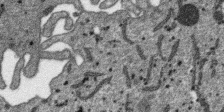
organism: Human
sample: Lung epithelial cells infected with SARS-CoV-2